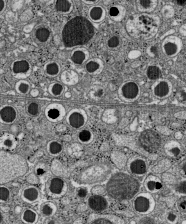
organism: C57BL Mouse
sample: Pancreatic islet